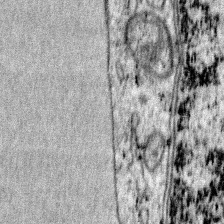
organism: Human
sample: HeLa cells